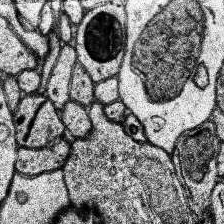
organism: Human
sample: Temporal Lobe